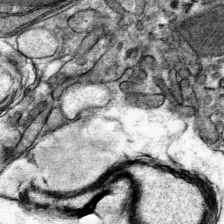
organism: Mouse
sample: Mouse hepatocytes